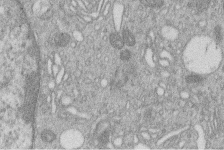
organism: Human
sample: Macrophage cells